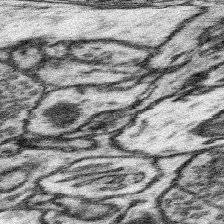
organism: Mouse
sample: Somatosensory cortex neuropil